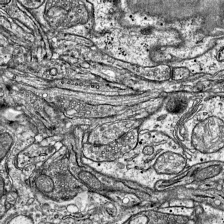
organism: Mouse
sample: Visual Cortex